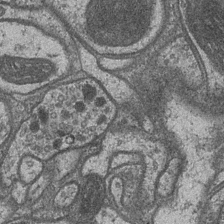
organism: Drosophila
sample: Optic medulla